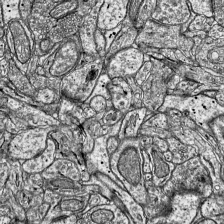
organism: Mouse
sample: Visual Cortex